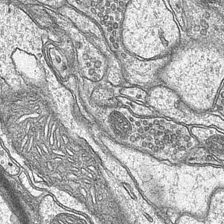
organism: Mouse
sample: CA1 Hippocampus